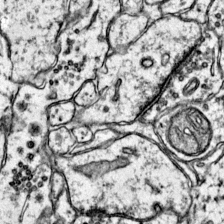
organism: Mouse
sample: Primary visual cortex